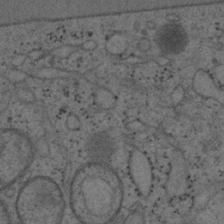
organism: Human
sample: HeLa cells